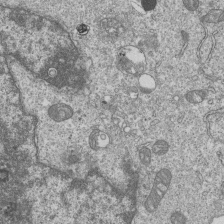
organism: Human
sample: MDA-MB-231 cells